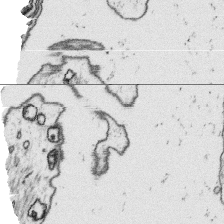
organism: Platynereis dumerilii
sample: Parapodia